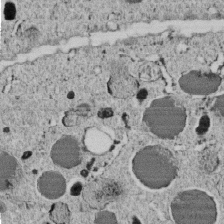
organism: C. elegans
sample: C. elegans embryo early stage